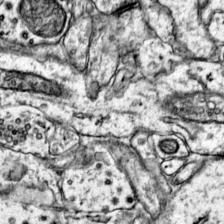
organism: Mouse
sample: Primary visual cortex